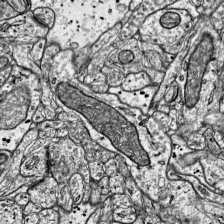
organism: Mouse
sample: Visual Cortex